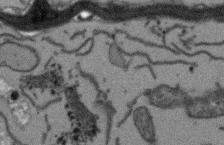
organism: Arabidopsis thaliana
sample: Root tip